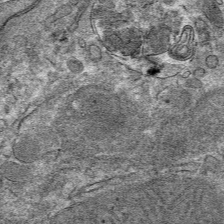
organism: Mouse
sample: Mouse hepatocytes